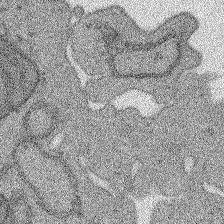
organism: Human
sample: HeLa cells